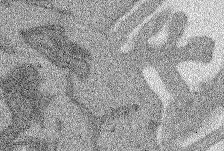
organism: Human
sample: HeLa cells